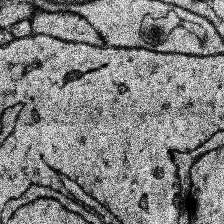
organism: Human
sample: Temporal Lobe